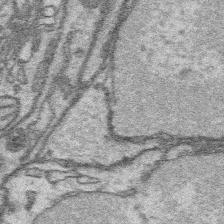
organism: Platynereis dumerilii